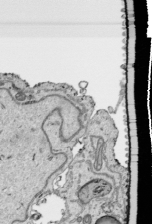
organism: Human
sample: Mitochondria in HCT116 cells